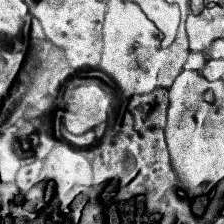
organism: Human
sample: Temporal Lobe